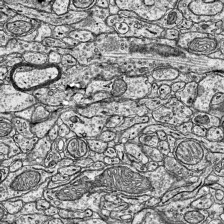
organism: Mouse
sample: Visual Cortex